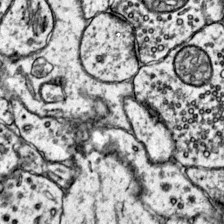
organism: Mouse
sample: Primary visual cortex